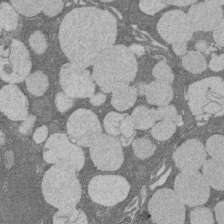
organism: Rat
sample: Salivary granule